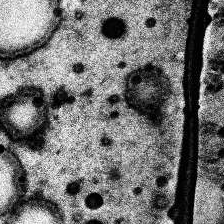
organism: Human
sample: Temporal Lobe